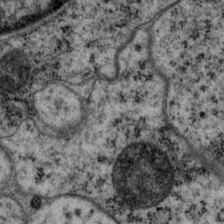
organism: P. pacificus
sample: Pharynx